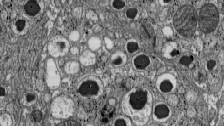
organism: C57BL Mouse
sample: Pancreatic islet